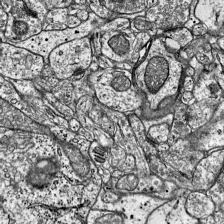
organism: Mouse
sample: Visual Cortex